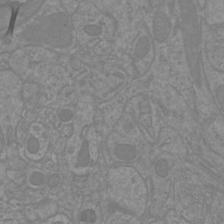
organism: Mouse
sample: Cortical neurons